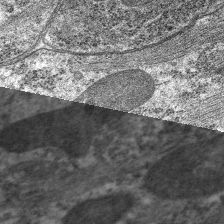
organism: C. elegans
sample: Pharynx